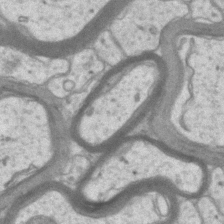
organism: Mouse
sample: CA1 Hippocampus